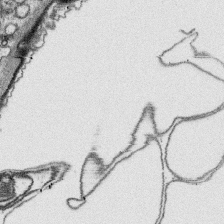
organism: Platynereis dumerilii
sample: Parapodia